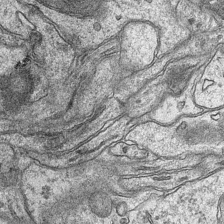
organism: Mouse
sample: CA1 Hippocampus